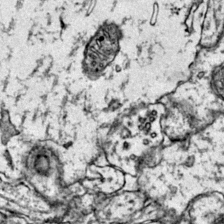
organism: Mouse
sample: Primary visual cortex